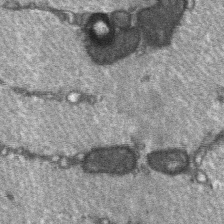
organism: C57BL Mouse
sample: Soleus